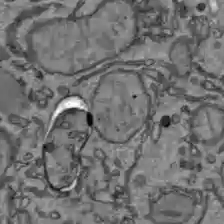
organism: C57BL Mouse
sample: Liver